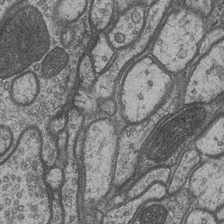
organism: Drosophila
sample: Optic medulla